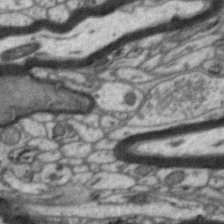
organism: Zebra finch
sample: Brain